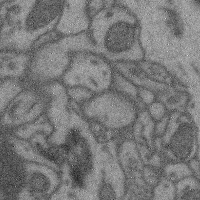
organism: Mouse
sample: Cerebral cortex